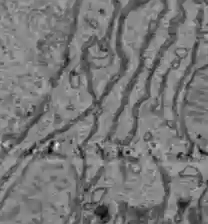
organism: C57BL Mouse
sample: Liver